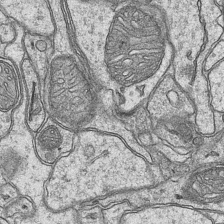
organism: Mouse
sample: CA1 Hippocampus